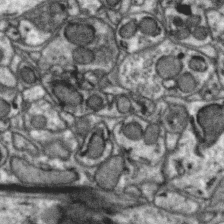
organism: Zebra finch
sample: Brain